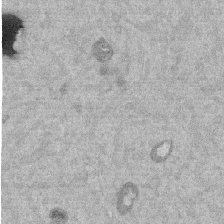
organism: Mouse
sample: Dividing mouse embryo 1 cell stage